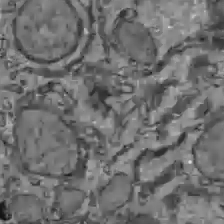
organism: C57BL Mouse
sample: Liver